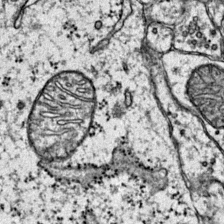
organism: Mouse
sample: Primary visual cortex